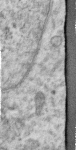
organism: Human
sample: Centriole in RPE cells